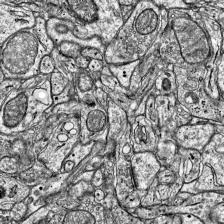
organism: Mouse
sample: Visual Cortex